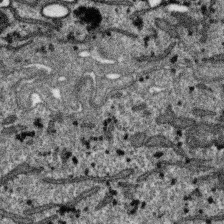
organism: Human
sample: Lung epithelial cells infected with SARS-CoV-2